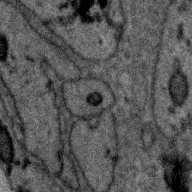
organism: Zebra finch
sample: Brain